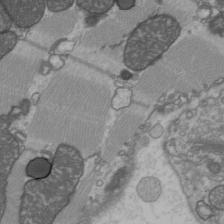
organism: C57BL Mouse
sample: Heart